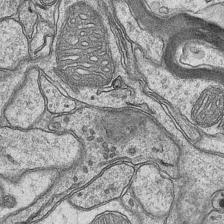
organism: Mouse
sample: CA1 Hippocampus